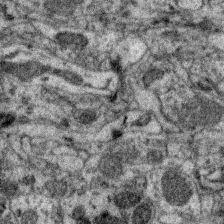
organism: Zebra finch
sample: Brain